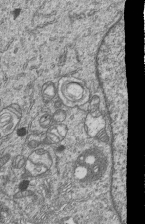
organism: Human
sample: MDA-MB-231 cells